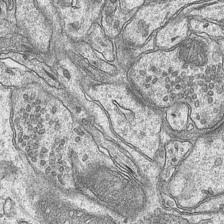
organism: Mouse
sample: CA1 Hippocampus